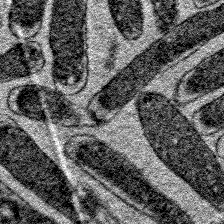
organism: E. coli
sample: E. Coli Bacteria